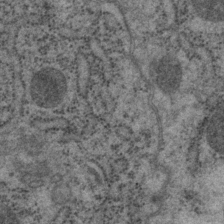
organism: P. pacificus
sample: Pharynx